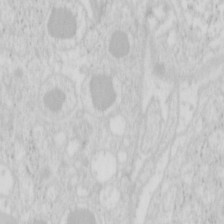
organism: Mouse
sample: Pancreas